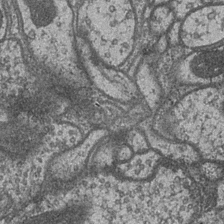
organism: Drosophila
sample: Optic medulla